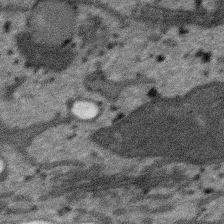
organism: Human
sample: Lung epithelial cells infected with SARS-CoV-2